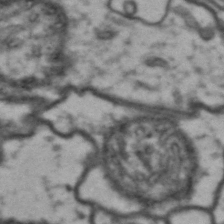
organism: Drosophila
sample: Brain